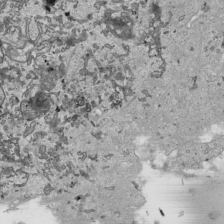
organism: Human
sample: Mitochondria in HCT116 cells